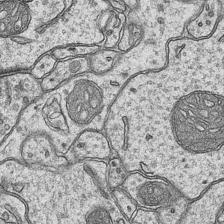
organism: Mouse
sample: CA1 Hippocampus